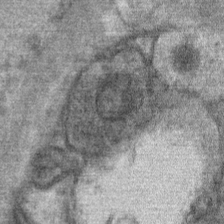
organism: Mouse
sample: Mouse Salivary gland